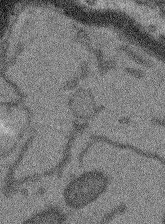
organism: Arabidopsis thaliana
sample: Root tip